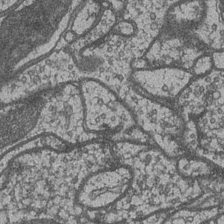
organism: Drosophila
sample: Optic medulla